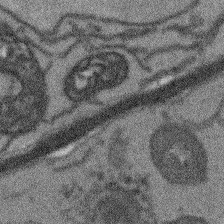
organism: Arabidopsis thaliana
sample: Root tip